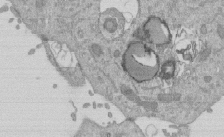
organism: Mouse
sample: ED-1 cell nuclei; centrioles